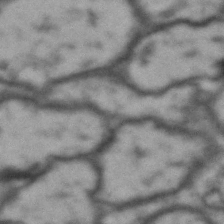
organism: Drosophila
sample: Brain